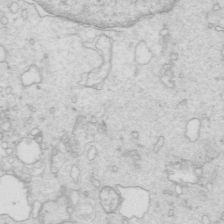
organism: Mouse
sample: Multiciliated cells